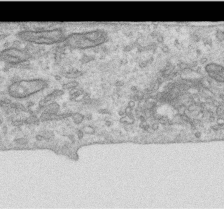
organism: Human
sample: Centriole in RPE cells